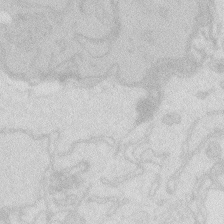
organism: Zebrafish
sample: Macrophage